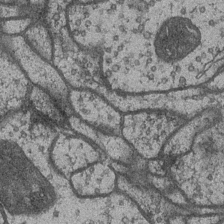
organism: Drosophila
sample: Optic medulla